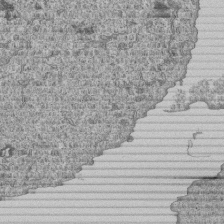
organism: Human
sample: MDA-MB-231 cells